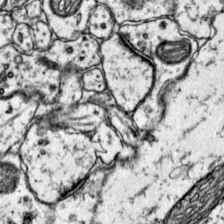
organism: Mouse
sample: Primary visual cortex